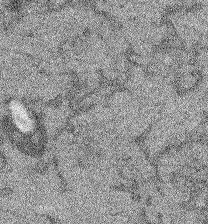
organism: Human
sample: HeLa cells